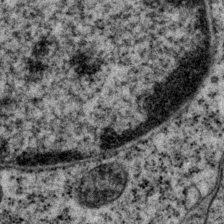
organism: P. pacificus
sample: Pharynx